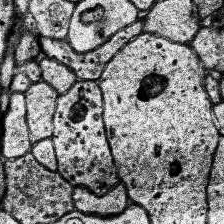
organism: Human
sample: Temporal Lobe